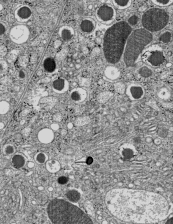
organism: C57BL Mouse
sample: Pancreatic islet